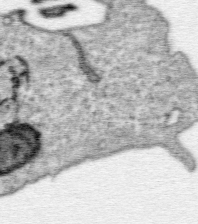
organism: Human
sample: HeLa cells